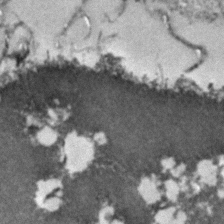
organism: Zebrafish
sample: Zebrafish embryo